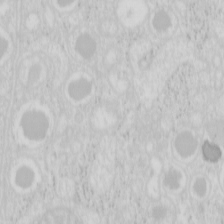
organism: Mouse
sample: Pancreas